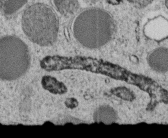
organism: C. elegans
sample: C. elegans embryo early stage